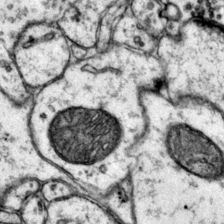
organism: Mouse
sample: Primary visual cortex